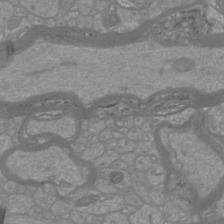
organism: Mouse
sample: Cortical neurons